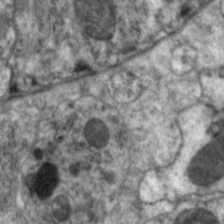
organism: C. elegans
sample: Pharynx